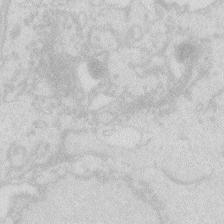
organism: Zebrafish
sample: Macrophage